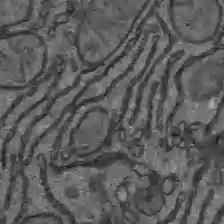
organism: C57BL Mouse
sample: Liver